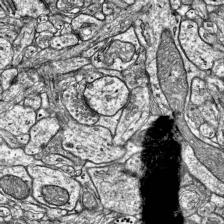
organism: Mouse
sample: Visual Cortex